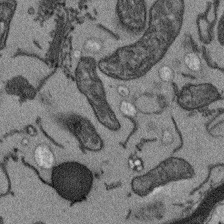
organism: Arabidopsis thaliana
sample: Root tip